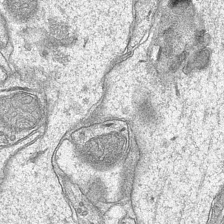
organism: Mouse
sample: CA1 Hippocampus